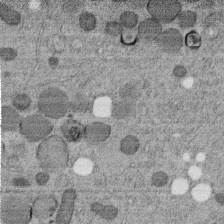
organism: C. elegans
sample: C. elegans embryo early stage